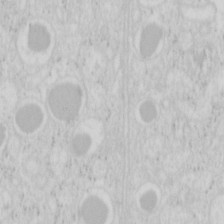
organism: Mouse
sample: Pancreas